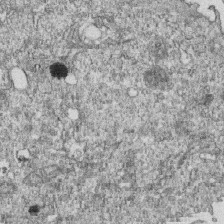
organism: Human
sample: HeLa cell HIV synapse